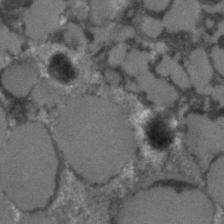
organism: C. elegans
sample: C. elegans embryo